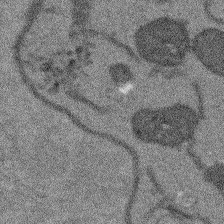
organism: Arabidopsis thaliana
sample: Root tip